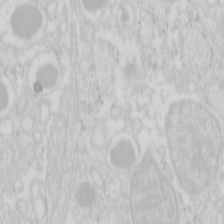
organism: Mouse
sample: Pancreas